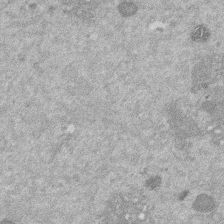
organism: Mouse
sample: Dividing mouse embryo 1 cell stage